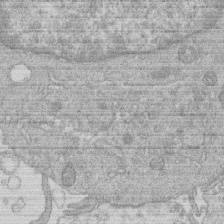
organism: Human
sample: Macrophage cells